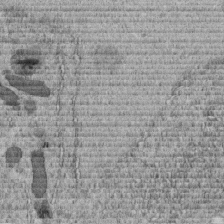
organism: C. elegans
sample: C. elegans embryo early stage